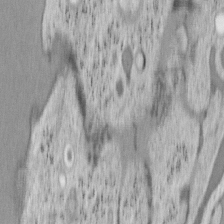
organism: Human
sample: HeLa cells